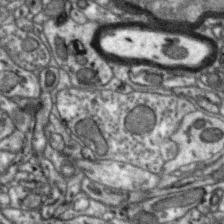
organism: Zebra finch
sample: Brain